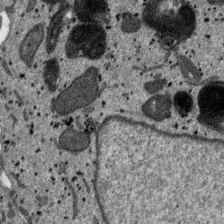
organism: Human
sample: Lung epithelial cells, uninfected (mock) control